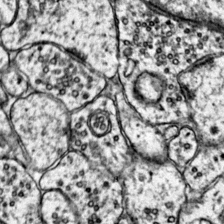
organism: Mouse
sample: Primary visual cortex